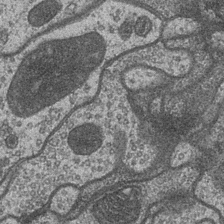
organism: Drosophila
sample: Optic medulla